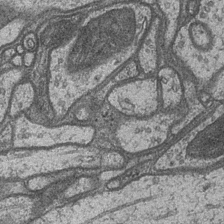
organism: Drosophila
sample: Optic medulla